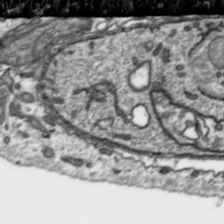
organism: Toxoplasma gondii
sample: Parasites in a vacuole inside a host cell